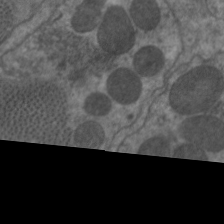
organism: C. elegans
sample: Pharynx